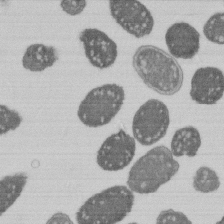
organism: E. coli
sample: Bacterial nucleoid